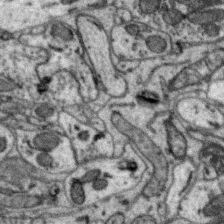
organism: Zebra finch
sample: Brain